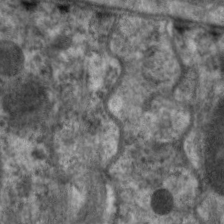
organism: C. elegans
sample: Pharynx